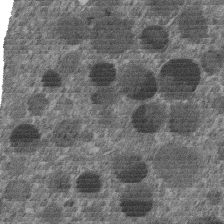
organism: C. elegans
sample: C. elegans embryo early stage